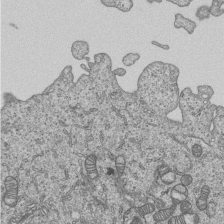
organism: Human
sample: MDA-MB-231 cells